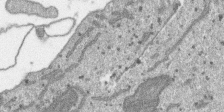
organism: Human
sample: Lung epithelial cells infected with SARS-CoV-2